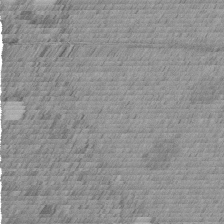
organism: C. elegans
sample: C. elegans embryo early stage